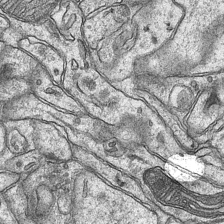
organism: Mouse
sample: CA1 Hippocampus